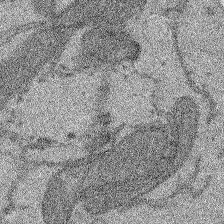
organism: Human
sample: HeLa cells